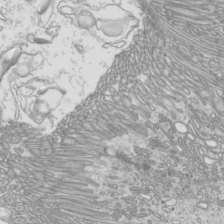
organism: Mouse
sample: Cilia; mouse epididymis